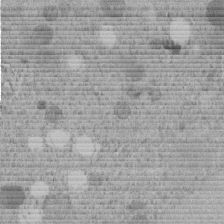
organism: C. elegans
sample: C. elegans embryo early stage